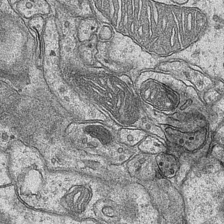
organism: Mouse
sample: CA1 Hippocampus